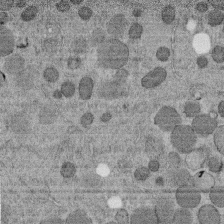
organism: C. elegans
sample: C. elegans embryo early stage